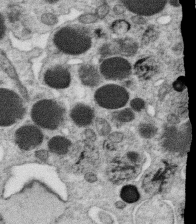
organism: C. elegans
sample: C. elegans oocyte; sperm cells